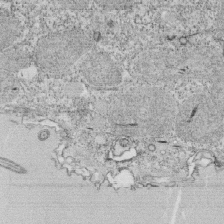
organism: Tetrahymena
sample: Cilia in tetrahymena